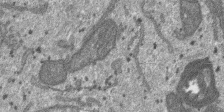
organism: Human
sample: Lung epithelial cells infected with SARS-CoV-2